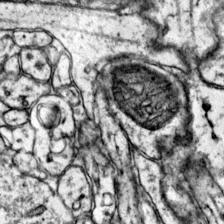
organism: Mouse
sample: Primary visual cortex